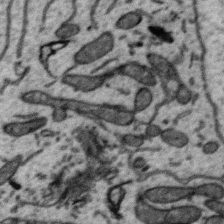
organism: Zebra finch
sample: Brain